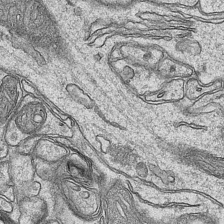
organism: Mouse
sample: CA1 Hippocampus